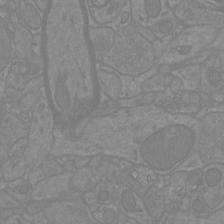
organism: Mouse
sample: Cortical neurons